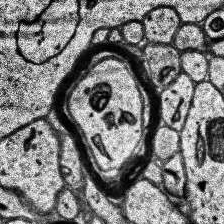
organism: Human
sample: Temporal Lobe